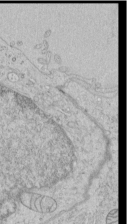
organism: Human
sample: Mitochondria in HCT116 cells